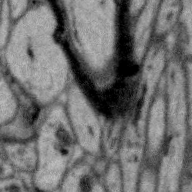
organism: Zebra finch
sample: Brain